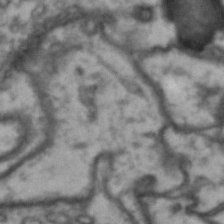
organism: Drosophila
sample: Brain